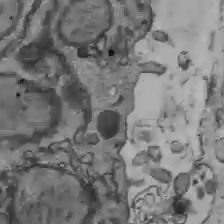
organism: C57BL Mouse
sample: Liver